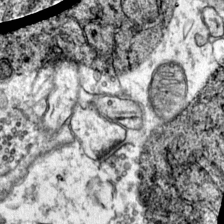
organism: Mouse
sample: Primary visual cortex